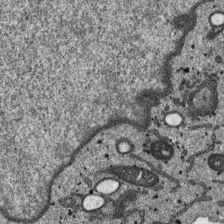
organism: Human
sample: Lung epithelial cells infected with SARS-CoV-2